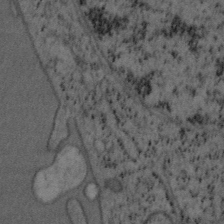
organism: Human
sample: HeLa cells